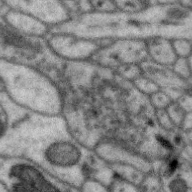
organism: Zebra finch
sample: Brain